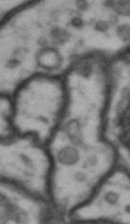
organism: Drosophila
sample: Brain